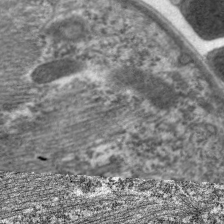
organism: C. elegans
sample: Pharynx